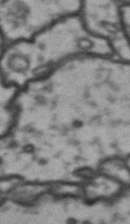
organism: Drosophila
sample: Brain